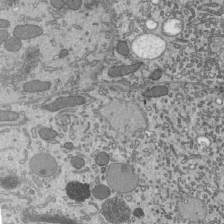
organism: Mouse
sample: Mouse epididymis efferent ductule cilia